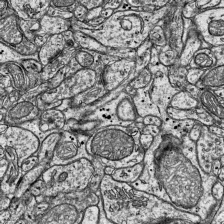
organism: Mouse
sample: Visual Cortex